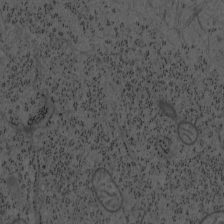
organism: Mouse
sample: OT-I killer T cells with ID8 ovarian cancer cells